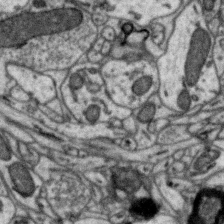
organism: Zebra finch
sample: Brain